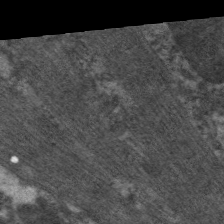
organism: C. elegans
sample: Pharynx